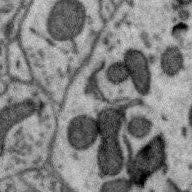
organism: Zebra finch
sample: Brain